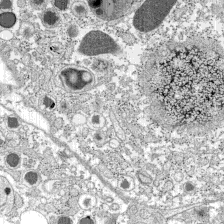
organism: C57BL Mouse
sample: Pancreatic islet